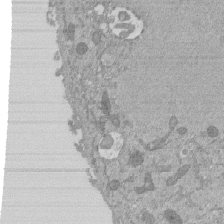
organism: Mouse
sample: ED-1 cell nuclei; centrioles